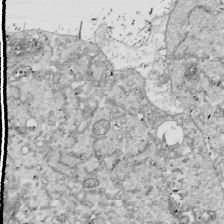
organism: Drosophila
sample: Cell division; meiosis; drosophila spermatocytes